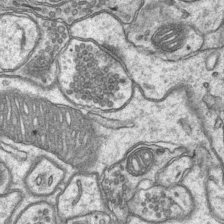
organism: Mouse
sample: CA1 Hippocampus